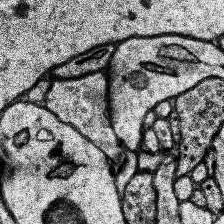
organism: Human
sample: Temporal Lobe